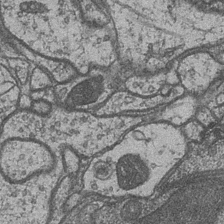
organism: Drosophila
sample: Optic medulla